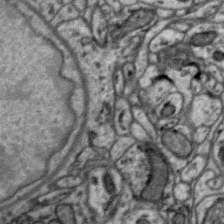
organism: Zebra finch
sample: Brain